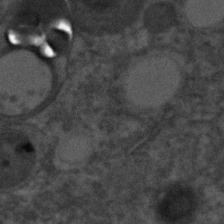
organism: C. elegans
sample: C. elegans embryo